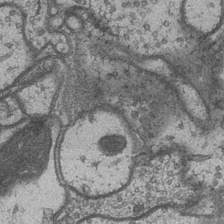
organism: Drosophila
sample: Optic medulla